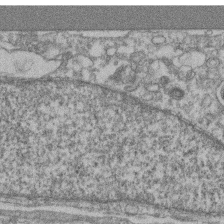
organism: Mouse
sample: T cell stromal cell synapse